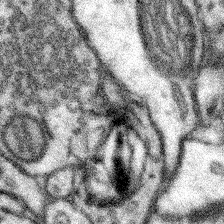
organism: Mouse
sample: Somatosensory cortex neuropil